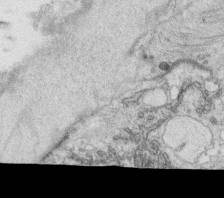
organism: C. elegans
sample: C. elegans oocyte; sperm cells